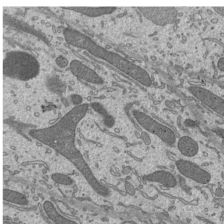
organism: Mouse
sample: Mouse epididymis efferent ductule cilia